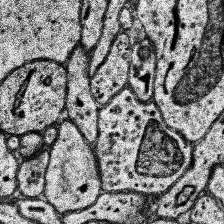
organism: Human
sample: Temporal Lobe